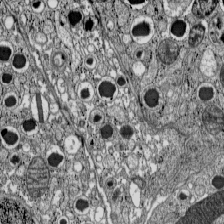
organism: C57BL Mouse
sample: Pancreatic islet